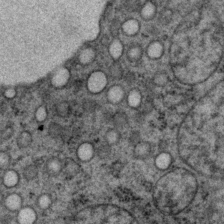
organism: P. pacificus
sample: Pharynx